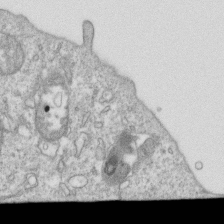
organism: Mouse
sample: Activated OT-1 CD8+ T cells